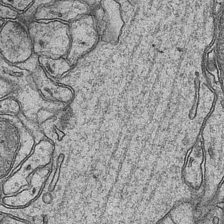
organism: Mouse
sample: CA1 Hippocampus